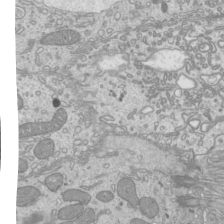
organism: Mouse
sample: Cilia; mouse epididymis